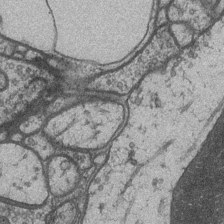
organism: Drosophila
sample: Optic medulla